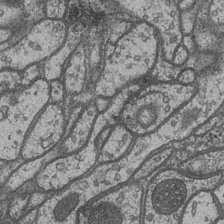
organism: Drosophila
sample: Optic medulla